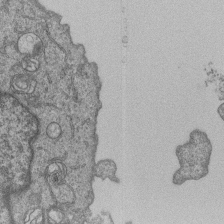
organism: Human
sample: MDA-MB-231 cells